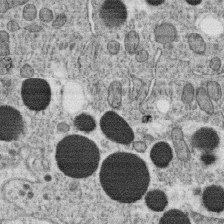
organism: C. elegans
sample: C. elegans oocyte; sperm cells